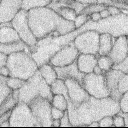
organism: Rabbit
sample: Retina